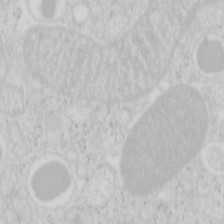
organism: Mouse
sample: Pancreas